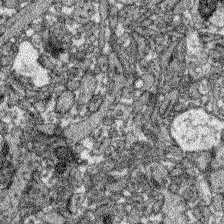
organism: Zebrafish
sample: Larval olfactory bulb